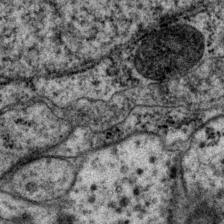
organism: P. pacificus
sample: Pharynx